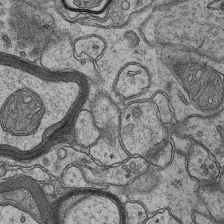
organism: Mouse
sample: CA1 Hippocampus